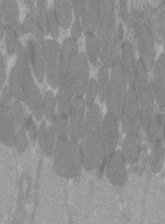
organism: C57BL Mouse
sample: Tibialis anterior muscle cell